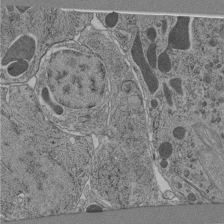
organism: C. elegans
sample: C. elegans pharynx